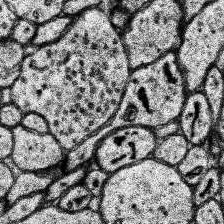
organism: Human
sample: Temporal Lobe